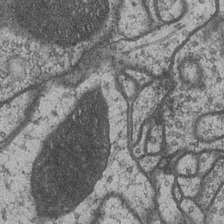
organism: Drosophila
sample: Optic medulla